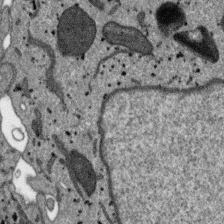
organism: Human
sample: Lung epithelial cells, uninfected (mock) control